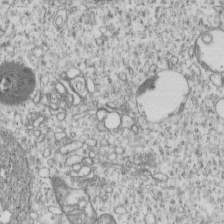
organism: Human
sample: MDA-MB-231 cells